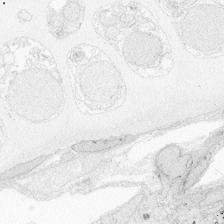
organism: Zebrafish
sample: Whole-Brain